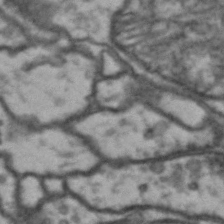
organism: Drosophila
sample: Brain